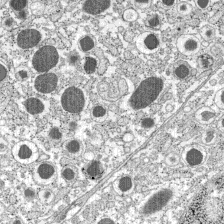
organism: C57BL Mouse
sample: Pancreatic islet